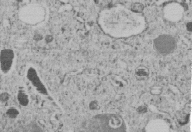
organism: C. elegans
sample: C. elegans embryo early stage